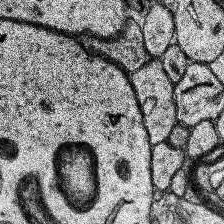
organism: Human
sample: Temporal Lobe